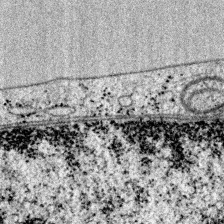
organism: Human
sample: HeLa cells